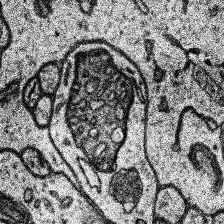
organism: Human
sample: Temporal Lobe